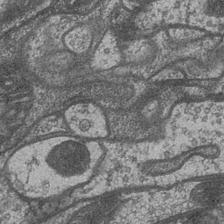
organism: Drosophila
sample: Optic medulla